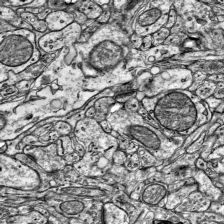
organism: Mouse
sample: Visual Cortex